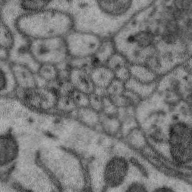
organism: Zebra finch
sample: Brain